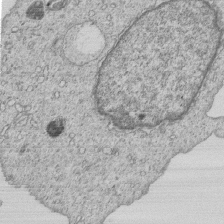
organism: Human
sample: MDA-MB-231 cells